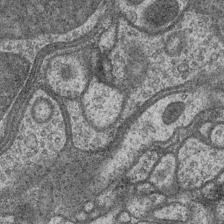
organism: Drosophila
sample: Optic medulla